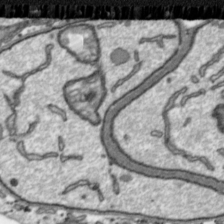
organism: Toxoplasma gondii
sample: Parasites in a vacuole inside a host cell